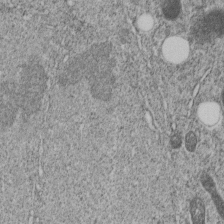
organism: C. elegans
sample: C. elegans embryo early stage